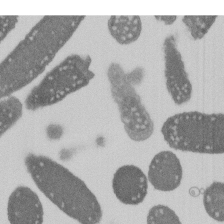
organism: E. coli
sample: Bacterial nucleoid